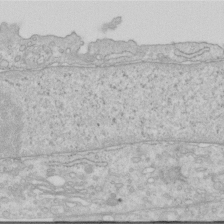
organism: Human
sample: Centriole in RPE cells